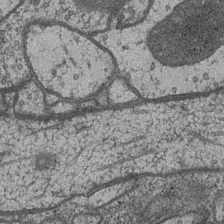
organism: Drosophila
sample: Optic medulla